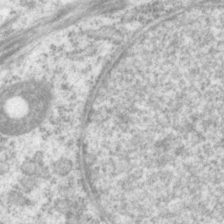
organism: P. pacificus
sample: Pharynx